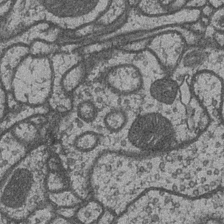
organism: Drosophila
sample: Optic medulla